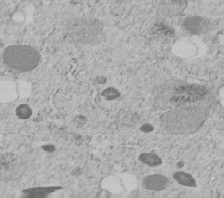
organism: C. elegans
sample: C. elegans embryo early stage